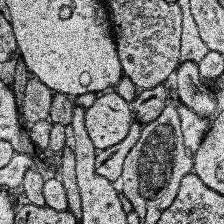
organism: Human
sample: Temporal Lobe